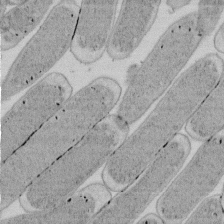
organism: E. coli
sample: Bacterial nucleoid